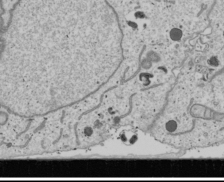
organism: Human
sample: Mitochondria in U2OS cells